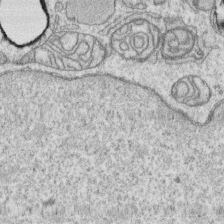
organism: Human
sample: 1205lu cells